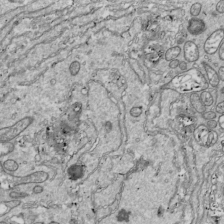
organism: Drosophila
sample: Cell division; meiosis; drosophila spermatocytes